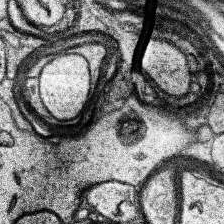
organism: Human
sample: Temporal Lobe